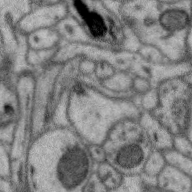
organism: Zebra finch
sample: Brain